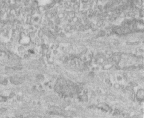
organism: Human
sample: Centriole in fibroblast cells